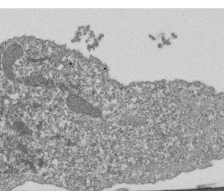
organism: Dictyostelium discoideum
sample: Dictyostelium multivesicular bodies